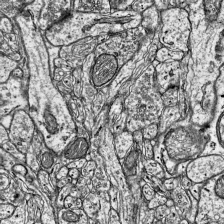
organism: Mouse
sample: Visual Cortex